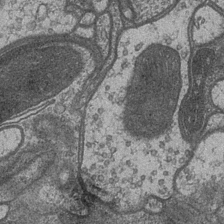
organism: Drosophila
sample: Optic medulla